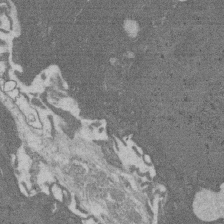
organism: Rat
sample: Salivary granule